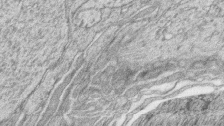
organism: Zebrafish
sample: synaptic ribbons in rod cells and cone cells